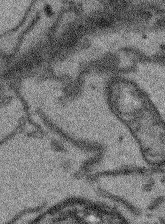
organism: Arabidopsis thaliana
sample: Root tip